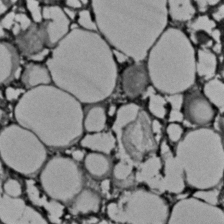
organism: C. elegans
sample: C. elegans embryo